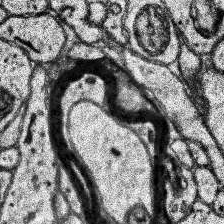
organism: Human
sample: Temporal Lobe